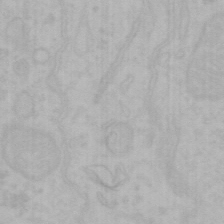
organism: Mouse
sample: Choroid plexus